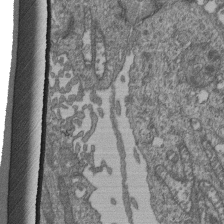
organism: Human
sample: Retinal organoid Rod and Cone cells